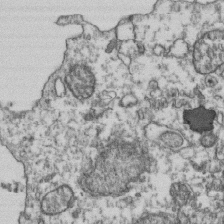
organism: Human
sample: Activated Jurkat CD4+ T cells